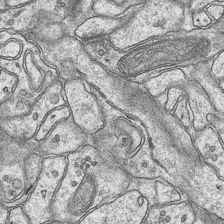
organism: Mouse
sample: CA1 Hippocampus